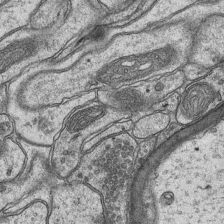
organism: Mouse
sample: CA1 Hippocampus